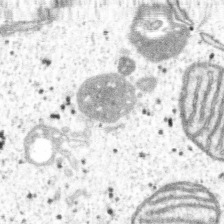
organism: Human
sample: HeLa cells